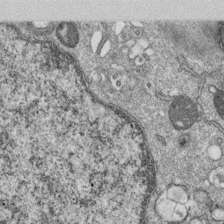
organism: African green monkey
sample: Vero E6 cells infected with SARS-CoV-2